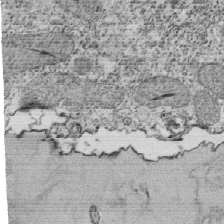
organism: Tetrahymena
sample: Cilia in tetrahymena